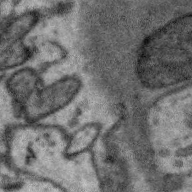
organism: Zebra finch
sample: Brain